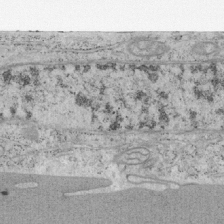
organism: Human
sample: HeLa cells